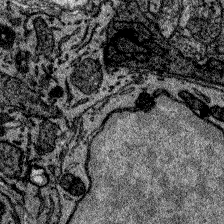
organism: Zebrafish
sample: Larval olfactory bulb